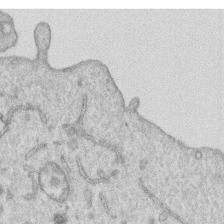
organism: Human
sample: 1205lu cells